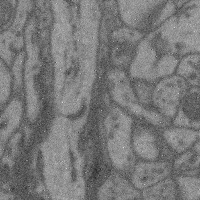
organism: Mouse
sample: Cerebral cortex